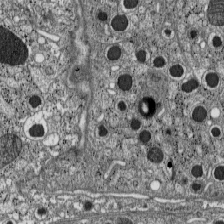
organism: C57BL Mouse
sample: Pancreatic islet